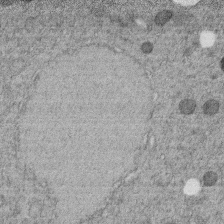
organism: C. elegans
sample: C. elegans embryo early stage